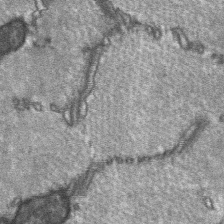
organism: C57BL Mouse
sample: Soleus